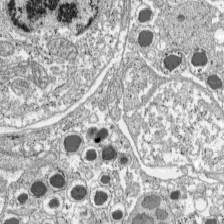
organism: C57BL Mouse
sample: Pancreatic islet